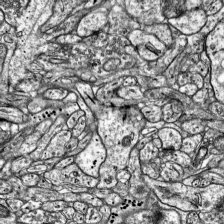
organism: Mouse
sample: Visual Cortex